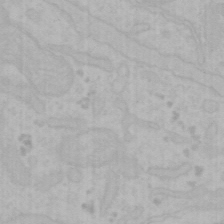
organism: Mouse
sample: Choroid plexus